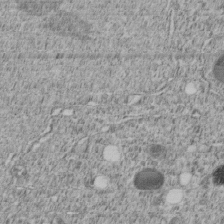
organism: C. elegans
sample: C. elegans embryo early stage